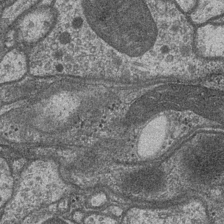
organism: Drosophila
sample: Optic medulla